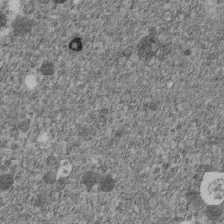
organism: C. elegans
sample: C. elegans embryo early stage